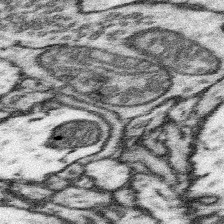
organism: Mouse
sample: Somatosensory cortex neuropil